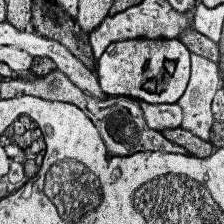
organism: Human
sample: Temporal Lobe